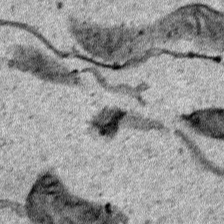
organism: Human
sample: Mitochondria in HCT116 cells